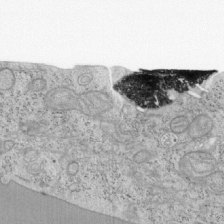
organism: Human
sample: HeLa cells